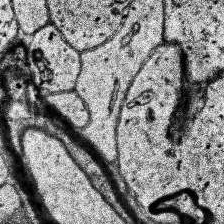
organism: Human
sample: Temporal Lobe